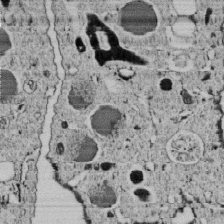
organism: C. elegans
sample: C. elegans embryo early stage